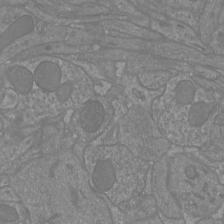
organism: Mouse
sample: Cortical neurons